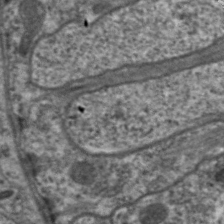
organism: C. elegans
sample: Pharynx